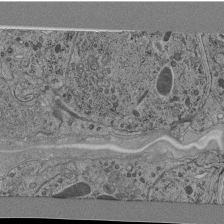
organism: C. elegans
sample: C. elegans pharynx